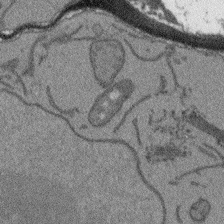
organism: Arabidopsis thaliana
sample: Root tip